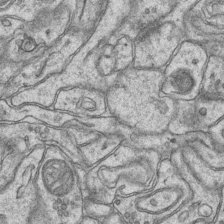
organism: Mouse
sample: CA1 Hippocampus